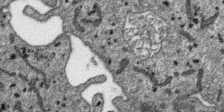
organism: Human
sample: Lung epithelial cells infected with SARS-CoV-2